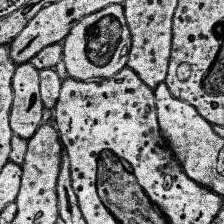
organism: Human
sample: Temporal Lobe